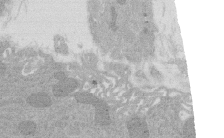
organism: Rat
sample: Salivary granule